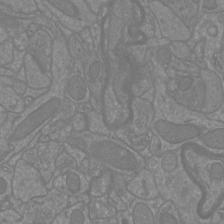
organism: Mouse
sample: Cortical neurons